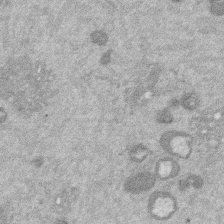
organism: Mouse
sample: Dividing mouse embryo 1 cell stage